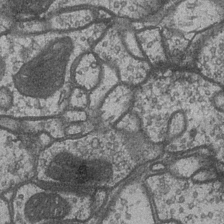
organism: Drosophila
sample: Optic medulla